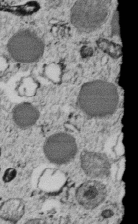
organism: C. elegans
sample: C. elegans embryo early stage